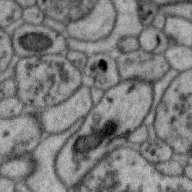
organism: Zebra finch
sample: Brain